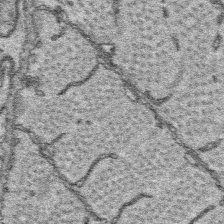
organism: Platynereis dumerilii